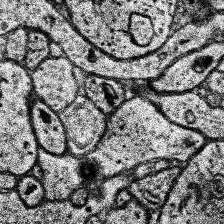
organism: Human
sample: Temporal Lobe